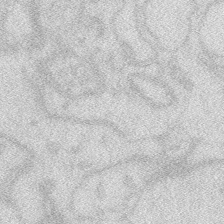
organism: Zebrafish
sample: Macrophage